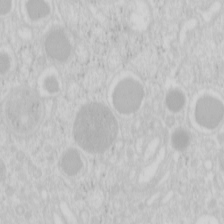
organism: Mouse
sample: Pancreas